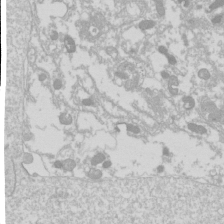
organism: Drosophila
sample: Cell division; meiosis; drosophila spermatocytes